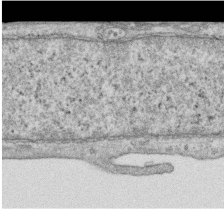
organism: Human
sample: Centriole in RPE cells